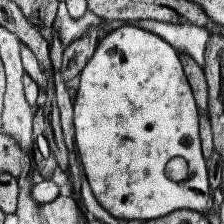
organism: Human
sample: Temporal Lobe